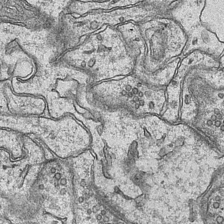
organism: Mouse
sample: CA1 Hippocampus